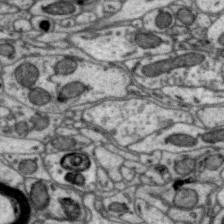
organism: Zebra finch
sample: Brain